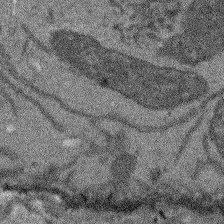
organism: Arabidopsis thaliana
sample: Root tip